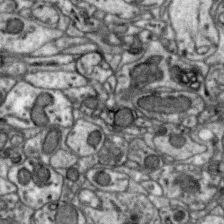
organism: Zebra finch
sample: Brain